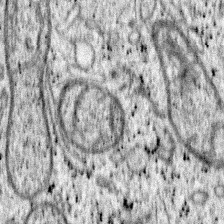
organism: Human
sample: HeLa cells